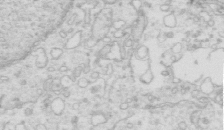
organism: Mouse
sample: Multiciliated cells